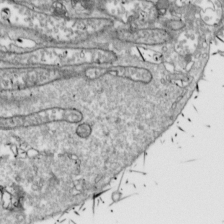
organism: Drosophila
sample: Cell division; meiosis; drosophila spermatocytes